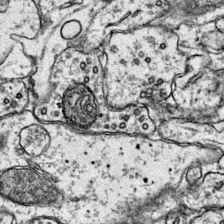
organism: Mouse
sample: Primary visual cortex